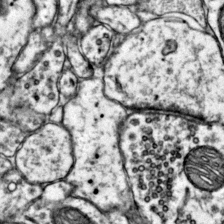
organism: Mouse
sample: Primary visual cortex